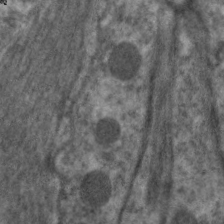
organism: C. elegans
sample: Pharynx